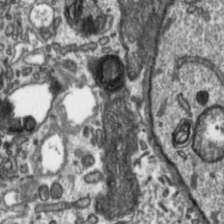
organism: Toxoplasma gondii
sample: Parasites in a vacuole inside a host cell